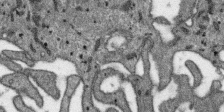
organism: Human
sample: Lung epithelial cells, uninfected (mock) control